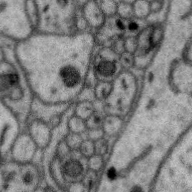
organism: Zebra finch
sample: Brain